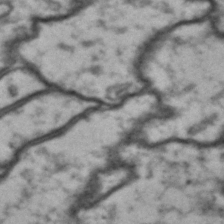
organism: Drosophila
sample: Brain